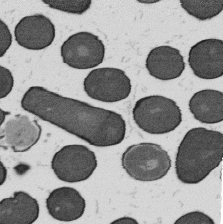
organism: B. subtilis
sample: Bacterial spore